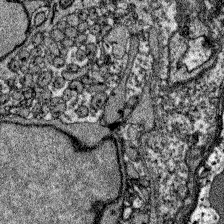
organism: Zebrafish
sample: Larval olfactory bulb